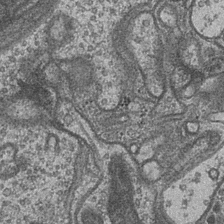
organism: Drosophila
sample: Optic medulla